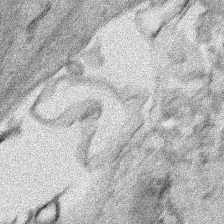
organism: Human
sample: Mitochondria in HCT116 cells